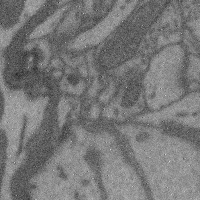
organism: Mouse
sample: Cerebral cortex